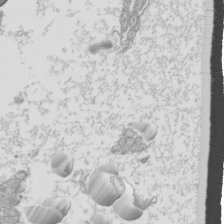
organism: Mouse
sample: Cilia; mouse epididymis